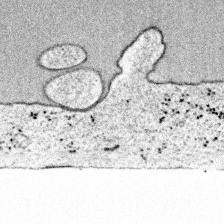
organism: Human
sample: HeLa cells